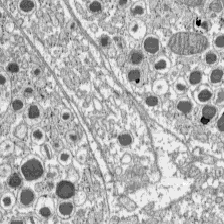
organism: C57BL Mouse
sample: Pancreatic islet